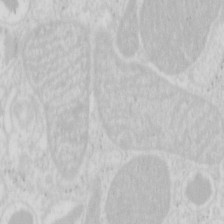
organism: Mouse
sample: Pancreas